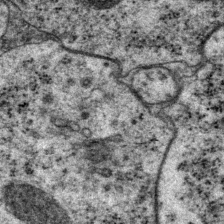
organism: P. pacificus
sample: Pharynx